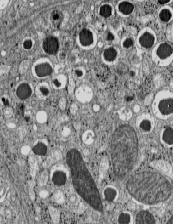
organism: C57BL Mouse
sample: Pancreatic islet